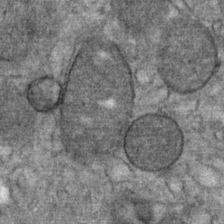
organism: Mouse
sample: Mouse Salivary gland